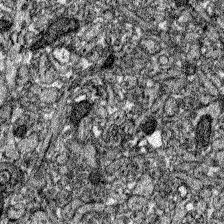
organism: Zebrafish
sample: Larval olfactory bulb